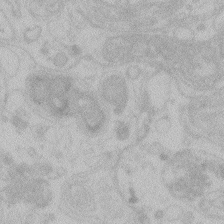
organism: Zebrafish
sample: Macrophage infected with Toxoplasma gondii